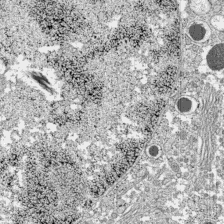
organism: C57BL Mouse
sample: Pancreatic islet